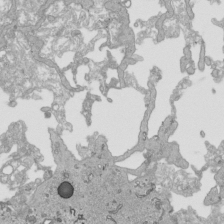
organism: Human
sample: Mitochondria in HCT116 cells